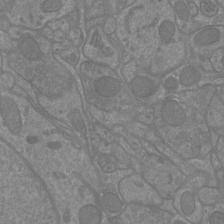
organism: Mouse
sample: Cortical neurons